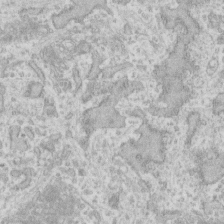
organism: Human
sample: Fibroblast cells